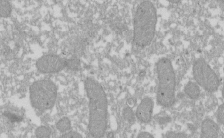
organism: Xenopus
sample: Cilia; centrioles in frog embryo cells